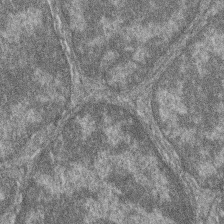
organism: Zebrafish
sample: Cilia; retinal pigment epithelium